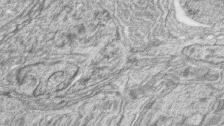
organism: Zebrafish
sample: synaptic ribbons in rod cells and cone cells